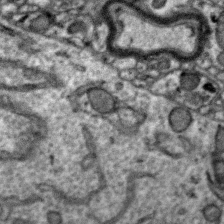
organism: Zebra finch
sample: Brain